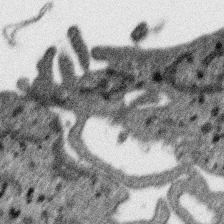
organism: Human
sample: Lung epithelial cells infected with SARS-CoV-2